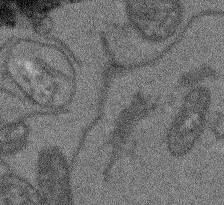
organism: Arabidopsis thaliana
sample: Root tip